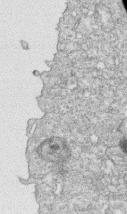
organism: Human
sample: HeLa cell HIV synapse